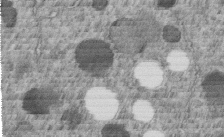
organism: C. elegans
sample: C. elegans embryo early stage